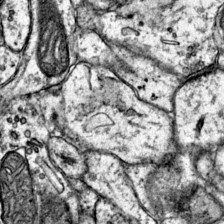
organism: Mouse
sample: Primary visual cortex